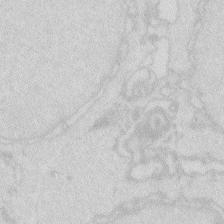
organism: Zebrafish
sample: Macrophage